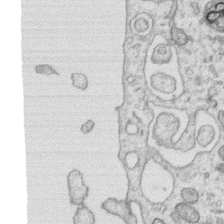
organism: Human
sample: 1205lu cells